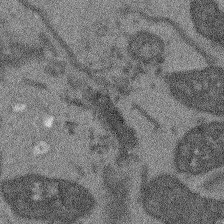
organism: Arabidopsis thaliana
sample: Root tip